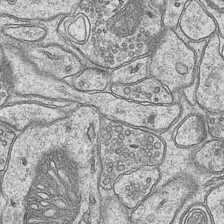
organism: Mouse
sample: CA1 Hippocampus